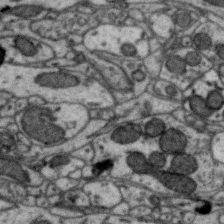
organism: Zebra finch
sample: Brain